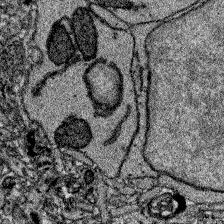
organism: Zebrafish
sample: Larval olfactory bulb